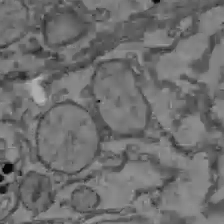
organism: C57BL Mouse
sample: Liver